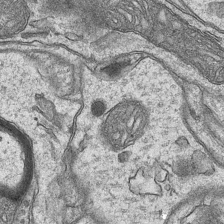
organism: Mouse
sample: CA1 Hippocampus